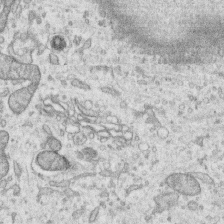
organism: Human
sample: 1205lu cells